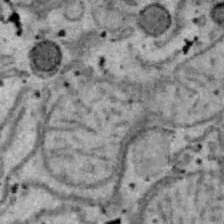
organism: Mouse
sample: Liver from an obese (ob/ob) mouse